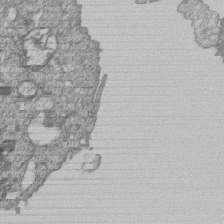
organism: Human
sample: MDA-MB-231 cells